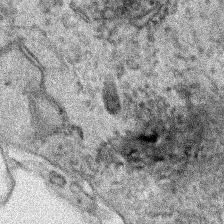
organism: Human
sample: Mitochondria in HCT116 cells